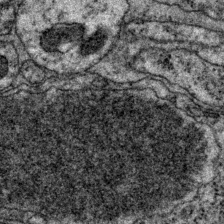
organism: P. pacificus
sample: Pharynx